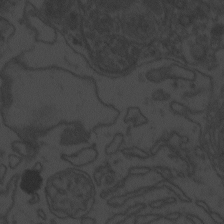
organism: Zebrafish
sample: Macrophage infected with Toxoplasma gondii